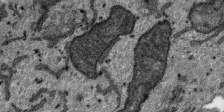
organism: Human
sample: Lung epithelial cells, uninfected (mock) control